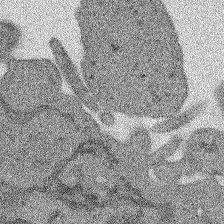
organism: Human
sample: HeLa cells